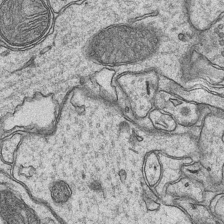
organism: Mouse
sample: CA1 Hippocampus